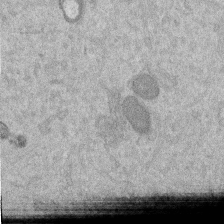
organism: Mouse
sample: Dividing mouse embryo 1 cell stage